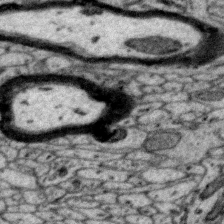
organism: Zebra finch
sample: Brain